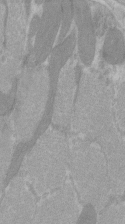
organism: C57BL Mouse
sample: Tibialis anterior muscle cell